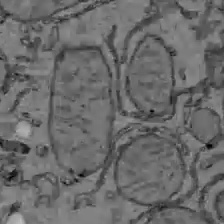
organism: C57BL Mouse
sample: Liver